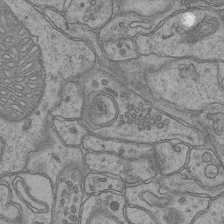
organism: Mouse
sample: CA1 Hippocampus